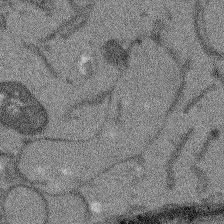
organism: Arabidopsis thaliana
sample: Root tip